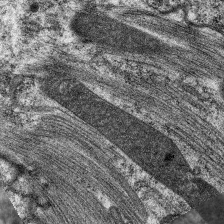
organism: C. elegans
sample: Pharynx